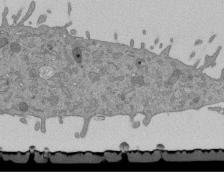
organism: Mouse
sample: ED-1 cell nuclei; centrioles